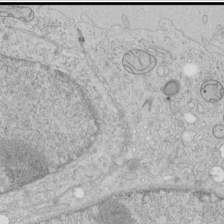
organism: Human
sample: Mitochondria in HCT116 cells